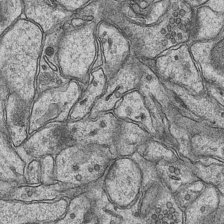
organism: Mouse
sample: CA1 Hippocampus